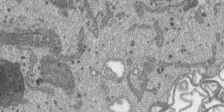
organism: Human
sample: Lung epithelial cells infected with SARS-CoV-2